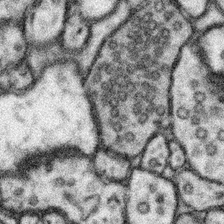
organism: Mouse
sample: Somatosensory cortex neuropil